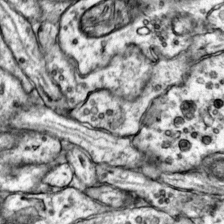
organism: Mouse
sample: Primary visual cortex